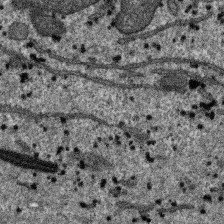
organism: Human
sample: Lung epithelial cells infected with SARS-CoV-2